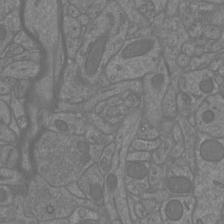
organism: Mouse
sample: Cortical neurons